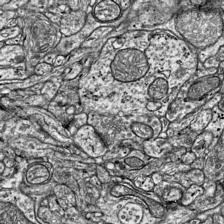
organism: Mouse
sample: Visual Cortex